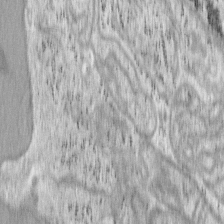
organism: Human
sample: HeLa cells